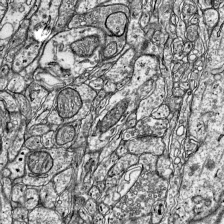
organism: Mouse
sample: Visual Cortex